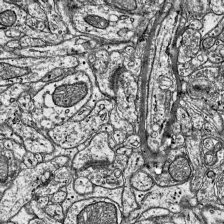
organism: Mouse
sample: Visual Cortex